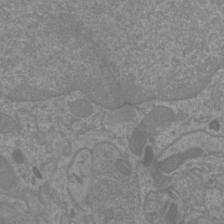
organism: Mouse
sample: Cortical neurons